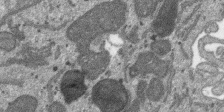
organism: Human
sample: Lung epithelial cells infected with SARS-CoV-2